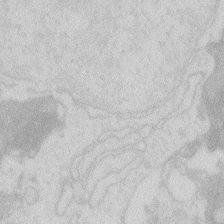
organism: Zebrafish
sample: Macrophage